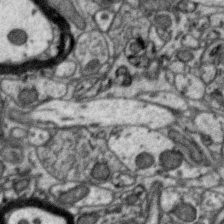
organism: Zebra finch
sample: Brain